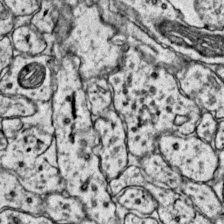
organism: Mouse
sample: Primary visual cortex